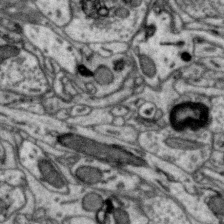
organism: Zebra finch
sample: Brain